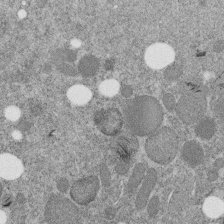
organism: C. elegans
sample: C. elegans embryo early stage